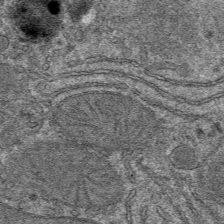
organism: Mouse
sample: Mouse hepatocytes